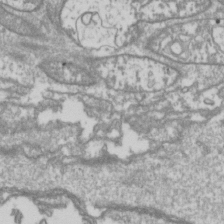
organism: Drosophila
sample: Cell division; meiosis; drosophila spermatocytes